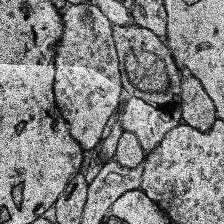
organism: Human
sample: Temporal Lobe